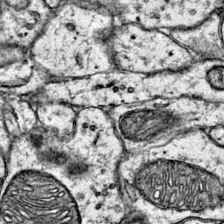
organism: Mouse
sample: Primary visual cortex